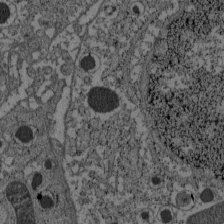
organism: C57BL Mouse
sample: Pancreatic islet